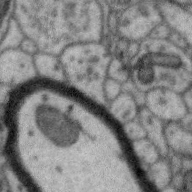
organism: Zebra finch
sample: Brain